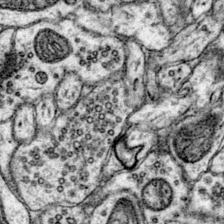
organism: Mouse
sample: Primary visual cortex